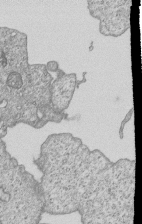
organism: Human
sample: MDA-MB-231 cells